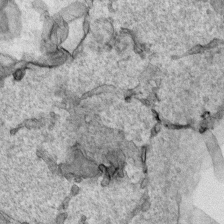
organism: Human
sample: Mitochondria in HCT116 cells